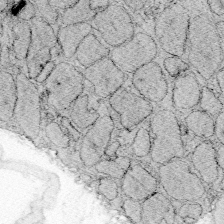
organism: Zebrafish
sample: Whole-Brain